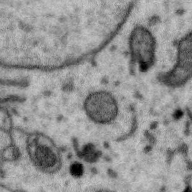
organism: Zebra finch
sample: Brain